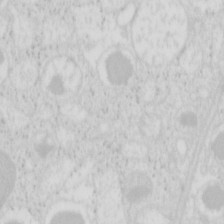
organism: Mouse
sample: Pancreas